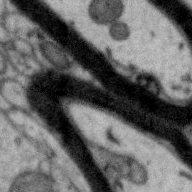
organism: Zebra finch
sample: Brain